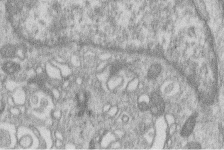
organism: Human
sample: Macrophage cells